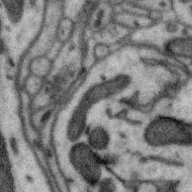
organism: Zebra finch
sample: Brain